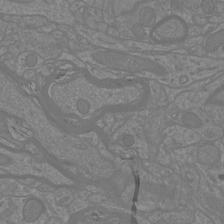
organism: Mouse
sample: Cortical neurons